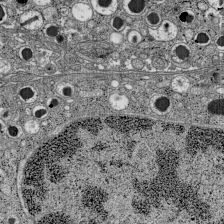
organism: C57BL Mouse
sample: Pancreatic islet